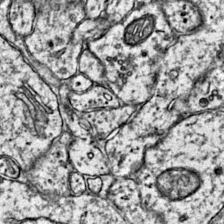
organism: Mouse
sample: Primary visual cortex